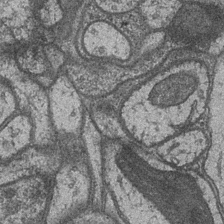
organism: Drosophila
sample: Optic medulla